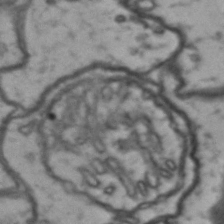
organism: Drosophila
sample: Brain